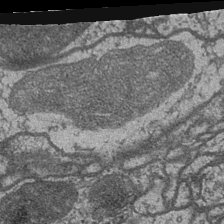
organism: Drosophila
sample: Optic medulla